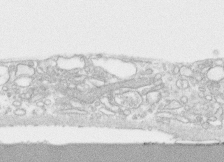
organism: Human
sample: CRL-1474